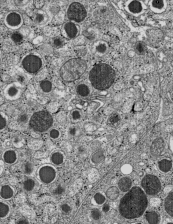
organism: C57BL Mouse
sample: Pancreatic islet